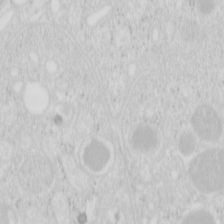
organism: Mouse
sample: Pancreas